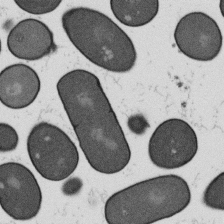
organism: B. subtilis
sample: Bacterial spore